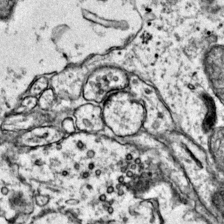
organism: Mouse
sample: Primary visual cortex